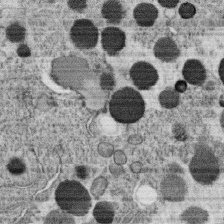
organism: C. elegans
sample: C. elegans oocyte; sperm cells